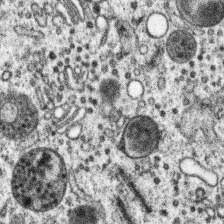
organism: Human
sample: HeLa cells